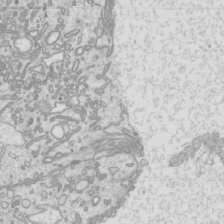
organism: Mouse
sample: Cilia; mouse epididymis